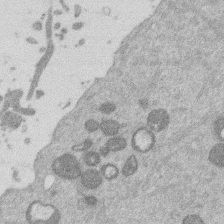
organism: Mouse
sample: Dividing mouse embryo 1 cell stage